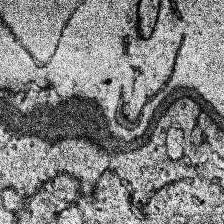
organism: Human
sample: Temporal Lobe